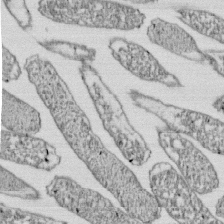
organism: E. coli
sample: Bacterial nucleoid